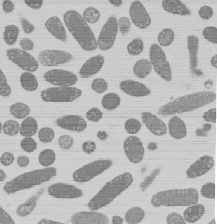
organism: E. coli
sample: Bacterial nucleoid